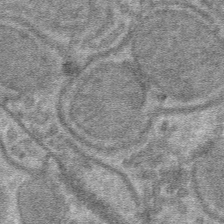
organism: Mouse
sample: Mouse hepatocytes